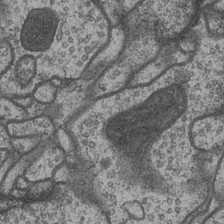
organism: Drosophila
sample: Optic medulla